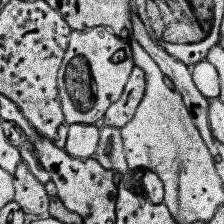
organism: Human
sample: Temporal Lobe